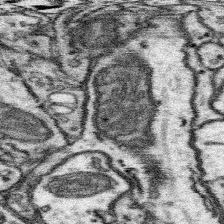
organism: Mouse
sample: Somatosensory cortex neuropil